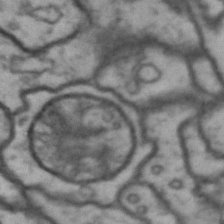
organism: Drosophila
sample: Brain